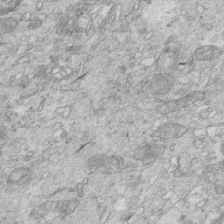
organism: Mouse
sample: Multiciliated cells